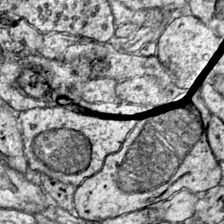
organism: Mouse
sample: Primary visual cortex